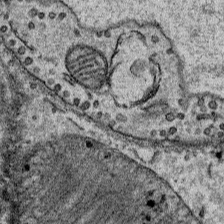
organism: Mouse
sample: Mouse Salivary gland